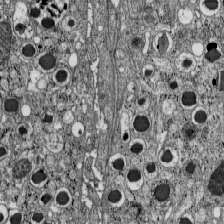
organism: C57BL Mouse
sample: Pancreatic islet